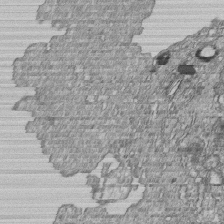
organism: Human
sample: MDA-MB-231 cells